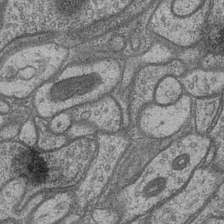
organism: Drosophila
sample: Optic medulla